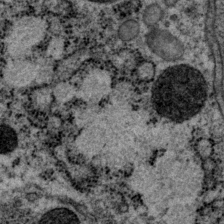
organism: P. pacificus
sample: Pharynx